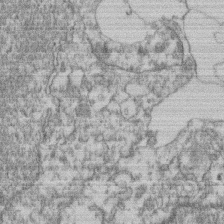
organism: Mouse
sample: T cell stromal cell synapse